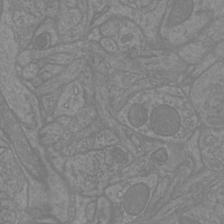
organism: Mouse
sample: Cortical neurons